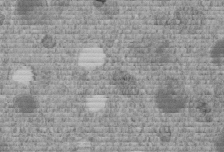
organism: C. elegans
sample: C. elegans embryo early stage